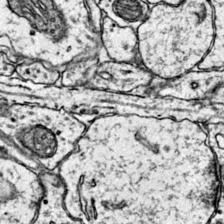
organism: Mouse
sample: Primary visual cortex